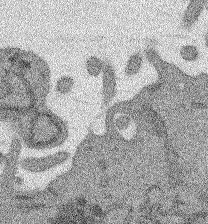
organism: Human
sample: HeLa cells